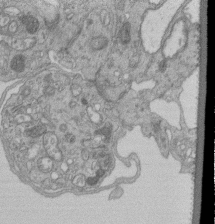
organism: Human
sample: Retinal organoid Rod and Cone cells